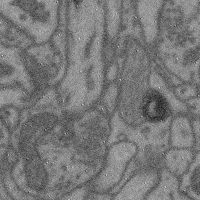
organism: Mouse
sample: Cerebral cortex